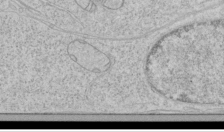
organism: Human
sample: Mitochondria in HCT116 cells